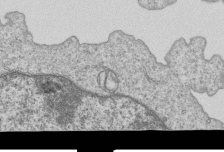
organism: Human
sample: MDA-MB-231 cells